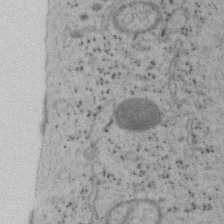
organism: Human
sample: HeLa cells